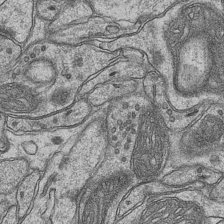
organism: Mouse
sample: CA1 Hippocampus